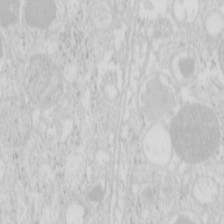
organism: Mouse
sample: Pancreas